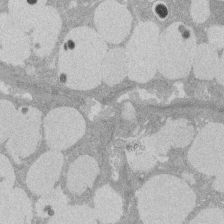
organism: Rat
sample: Salivary granule